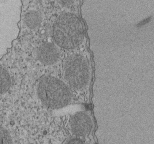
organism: Tetrahymena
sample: Cilia in tetrahymena